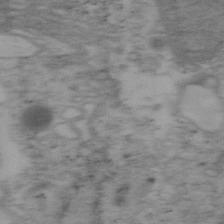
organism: Mouse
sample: OT-I killer T cells with ID8 ovarian cancer cells